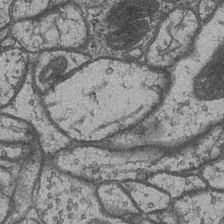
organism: Drosophila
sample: Optic medulla